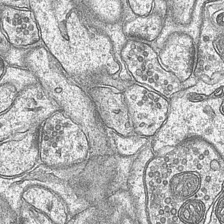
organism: Mouse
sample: CA1 Hippocampus